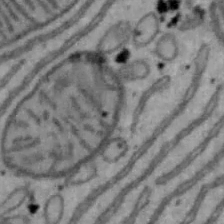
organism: Mouse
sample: Liver